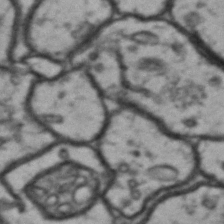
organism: Drosophila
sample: Brain